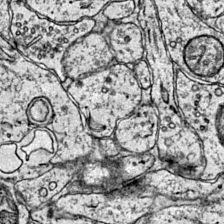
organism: Mouse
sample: Primary visual cortex